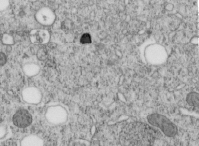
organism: C. elegans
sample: C. elegans embryo early stage